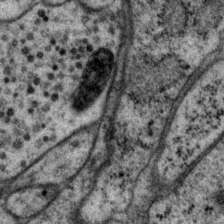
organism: P. pacificus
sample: Pharynx